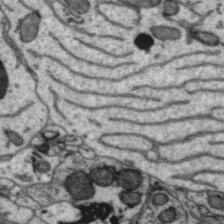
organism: Zebra finch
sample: Brain